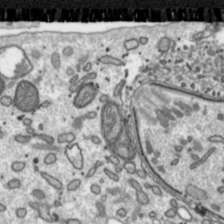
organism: Toxoplasma gondii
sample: Parasites in a vacuole inside a host cell